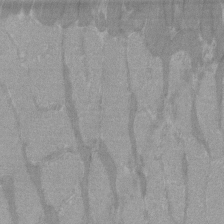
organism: C57BL Mouse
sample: Tibialis anterior muscle cell